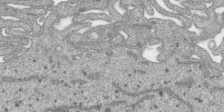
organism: Human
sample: Lung epithelial cells infected with SARS-CoV-2